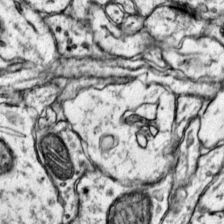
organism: Mouse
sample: Primary visual cortex